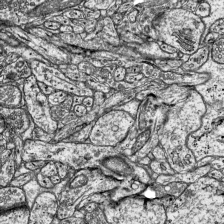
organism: Mouse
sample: Visual Cortex